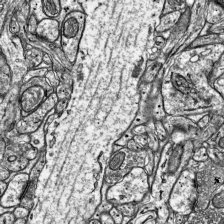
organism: Mouse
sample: Visual Cortex